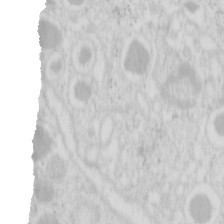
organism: Mouse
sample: Pancreas